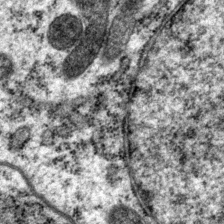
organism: P. pacificus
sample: Pharynx